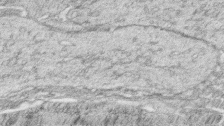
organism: Zebrafish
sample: synaptic ribbons in rod cells and cone cells